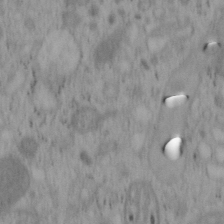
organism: Mouse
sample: OT-I killer T cells with ID8 ovarian cancer cells